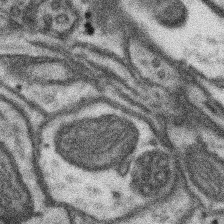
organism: Mouse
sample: Somatosensory cortex neuropil